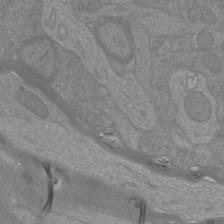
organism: Mouse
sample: Cortical neurons